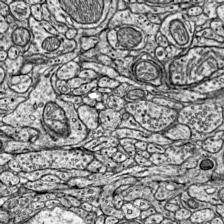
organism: Mouse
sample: Visual Cortex